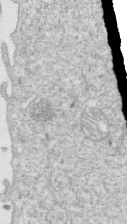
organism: Human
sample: HeLa cell HIV synapse